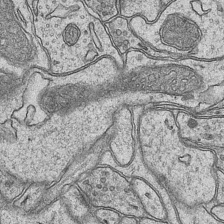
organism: Mouse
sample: CA1 Hippocampus